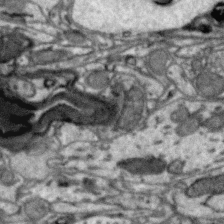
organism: Zebra finch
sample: Brain